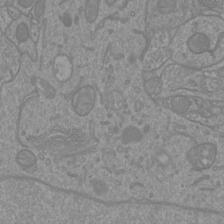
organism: Mouse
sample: Cortical neurons